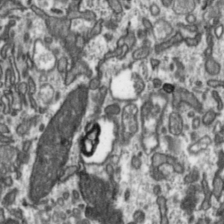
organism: Toxoplasma gondii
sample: Parasites in a vacuole inside a host cell